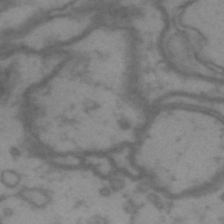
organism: Drosophila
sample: Brain